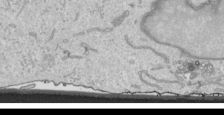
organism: Human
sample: Mitochondria in HCT116 cells